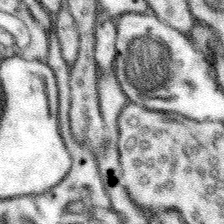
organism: Mouse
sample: Somatosensory cortex neuropil